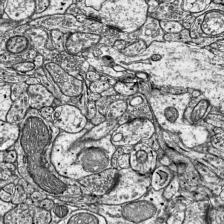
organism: Mouse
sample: Visual Cortex